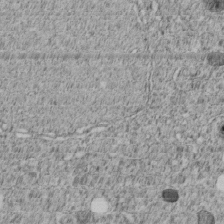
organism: C. elegans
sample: C. elegans embryo early stage